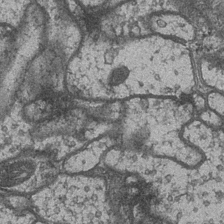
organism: Drosophila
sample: Optic medulla